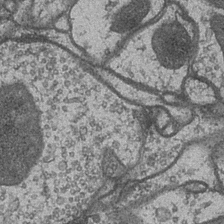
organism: Drosophila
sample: Optic medulla